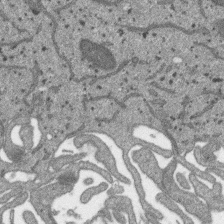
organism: Human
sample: Lung epithelial cells infected with SARS-CoV-2